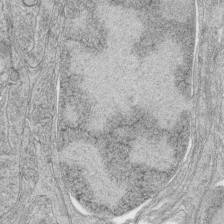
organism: Zebrafish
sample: synaptic ribbons in rod cells and cone cells